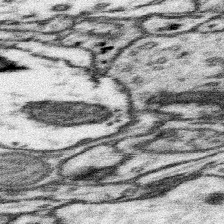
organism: Mouse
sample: Somatosensory cortex neuropil